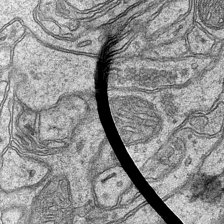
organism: Mouse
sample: CA1 Hippocampus